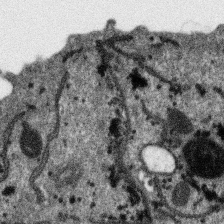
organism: Human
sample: Lung epithelial cells infected with SARS-CoV-2